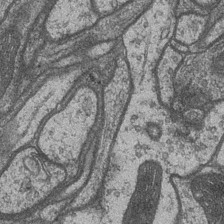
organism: Drosophila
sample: Optic medulla